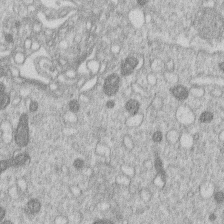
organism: Human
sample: Macrophage cells